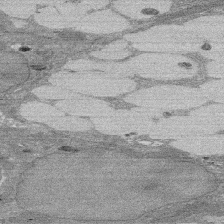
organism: Rat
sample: Salivary granule